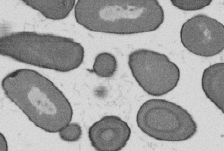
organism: B. subtilis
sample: Bacterial spore